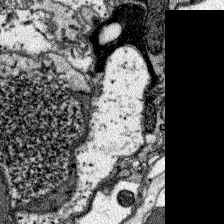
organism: Zebrafish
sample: Larval olfactory bulb